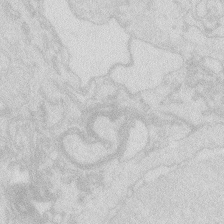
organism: Zebrafish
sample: Macrophage